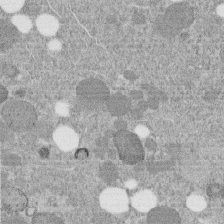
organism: C. elegans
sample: C. elegans embryo early stage